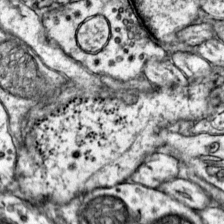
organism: Mouse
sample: Primary visual cortex